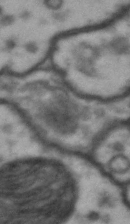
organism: Drosophila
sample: Brain